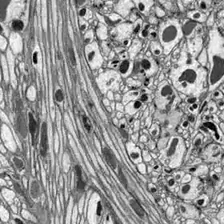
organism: Drosophila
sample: Optic lobe